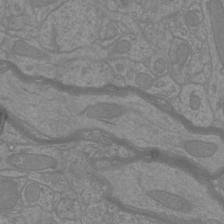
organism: Mouse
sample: Cortical neurons